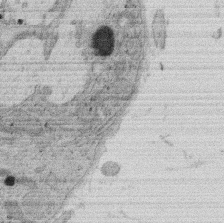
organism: Rat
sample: Salivary granule